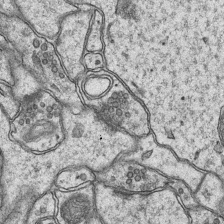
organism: Mouse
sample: CA1 Hippocampus